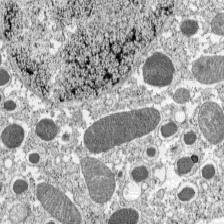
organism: C57BL Mouse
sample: Pancreatic islet